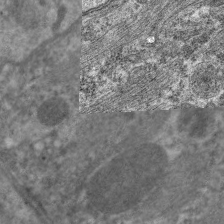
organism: C. elegans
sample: Pharynx